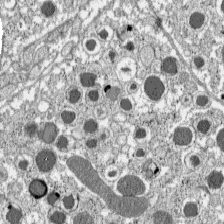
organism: C57BL Mouse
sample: Pancreatic islet